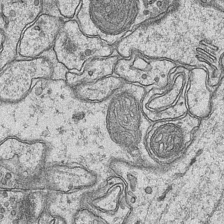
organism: Mouse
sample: CA1 Hippocampus